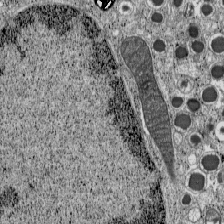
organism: C57BL Mouse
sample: Pancreatic islet